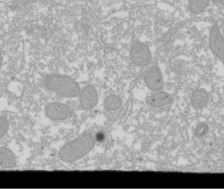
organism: Xenopus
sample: Cilia; centrioles in frog embryo cells